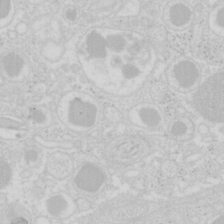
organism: Mouse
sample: Pancreas